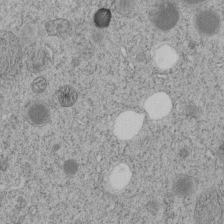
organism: C. elegans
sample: C. elegans embryo early stage